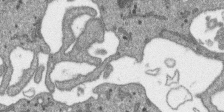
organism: Human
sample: Lung epithelial cells infected with SARS-CoV-2